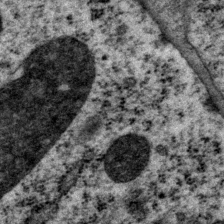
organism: P. pacificus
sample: Pharynx